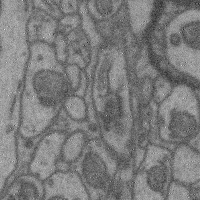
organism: Mouse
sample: Cerebral cortex